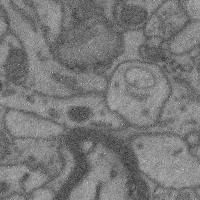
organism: Mouse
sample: Cerebral cortex